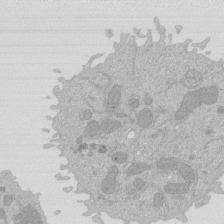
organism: Mouse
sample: Activated Pmel transgenic CD8+ T Cells